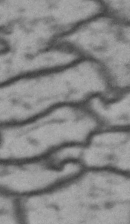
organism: Drosophila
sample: Brain